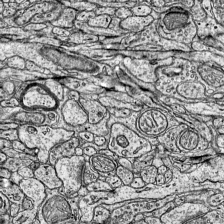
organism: Mouse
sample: Visual Cortex